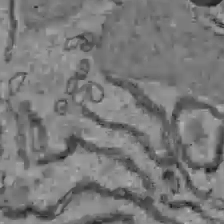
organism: C57BL Mouse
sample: Liver